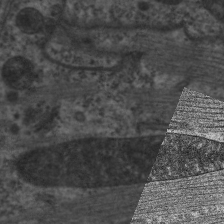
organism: C. elegans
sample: Pharynx